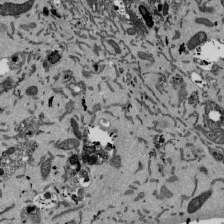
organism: Mouse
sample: ED-1 cell nuclei; centrioles